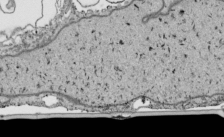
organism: Human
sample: Mitochondria in HCT116 cells